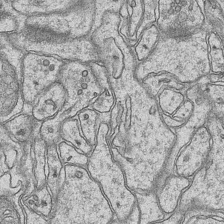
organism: Mouse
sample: CA1 Hippocampus